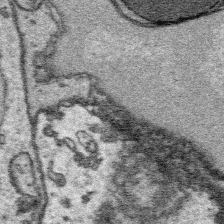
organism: Platynereis dumerilii